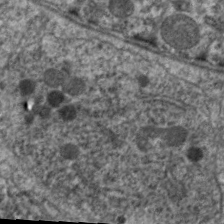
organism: C. elegans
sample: Pharynx